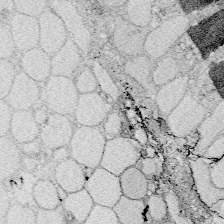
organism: Zebrafish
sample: Whole-Brain